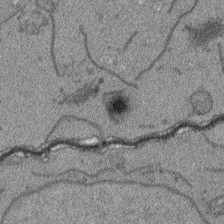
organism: Arabidopsis thaliana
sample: Root tip